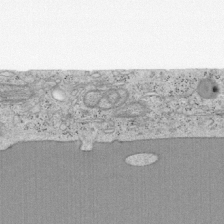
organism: Human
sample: HeLa cells